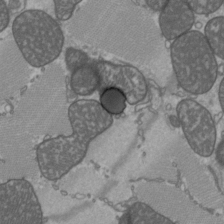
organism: C57BL Mouse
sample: Heart